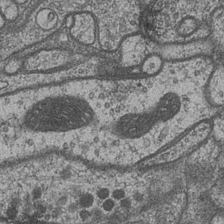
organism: Drosophila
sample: Optic medulla